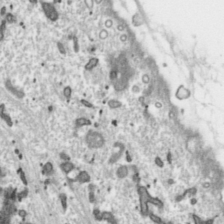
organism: Toxoplasma gondii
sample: Parasites in a vacuole inside a host cell